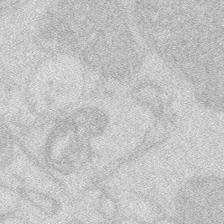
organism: Zebrafish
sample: Macrophage